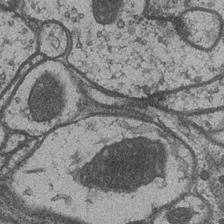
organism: Drosophila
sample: Optic medulla